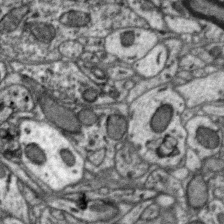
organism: Zebra finch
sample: Brain